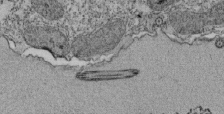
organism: Tetrahymena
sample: Cilia in tetrahymena